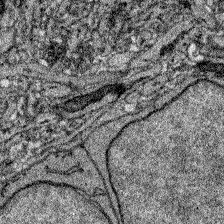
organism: Zebrafish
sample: Larval olfactory bulb